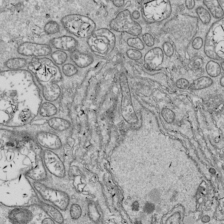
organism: Drosophila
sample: Cell division; meiosis; drosophila spermatocytes